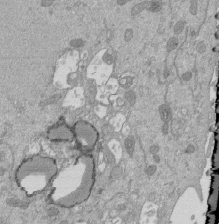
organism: Mouse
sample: ED-1 cell nuclei; centrioles